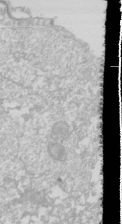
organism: Drosophila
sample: Cell division; meiosis; drosophila spermatocytes